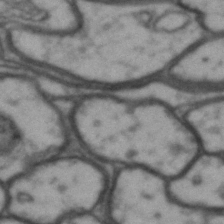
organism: Drosophila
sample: Brain